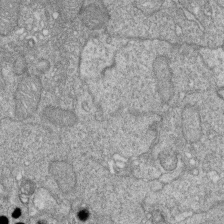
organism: Zebrafish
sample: Cilia; retinal pigment epithelium